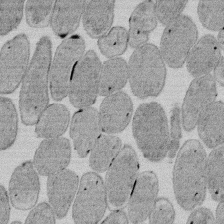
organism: E. coli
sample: Bacterial nucleoid